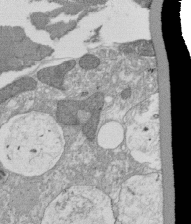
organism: Tetrahymena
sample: Cilia in tetrahymena